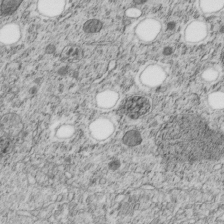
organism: C. elegans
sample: C. elegans embryo early stage